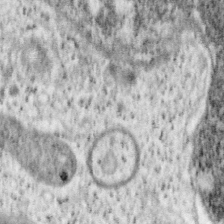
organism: Mouse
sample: OT-I killer T cells with ID8 ovarian cancer cells